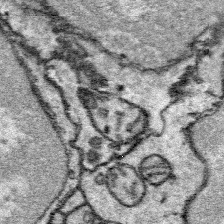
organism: Platynereis dumerilii